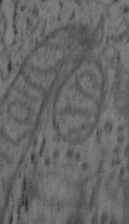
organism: Human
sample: HeLa cells